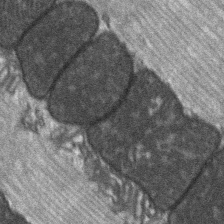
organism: C57BL Mouse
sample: Soleus